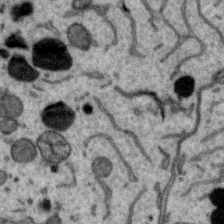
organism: Zebra finch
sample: Brain